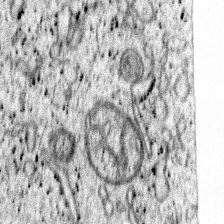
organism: Human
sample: HeLa cells